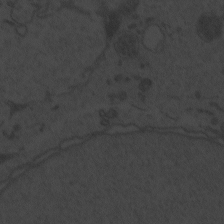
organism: Zebrafish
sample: Macrophage infected with Toxoplasma gondii